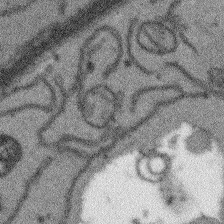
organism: Arabidopsis thaliana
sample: Root tip